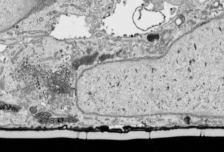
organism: Human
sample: Mitochondria in HCT116 cells